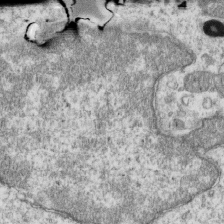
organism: Mouse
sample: Activated OT-1 CD8+ T cells